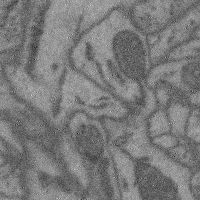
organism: Mouse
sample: Cerebral cortex